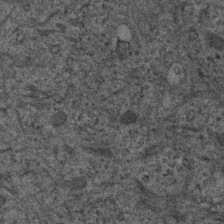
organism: Human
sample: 1205lu cells